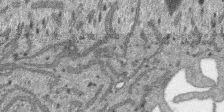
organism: Human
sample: Lung epithelial cells infected with SARS-CoV-2